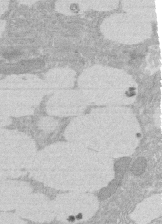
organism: Rat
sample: Salivary granule